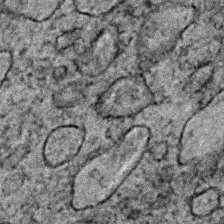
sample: Trachea